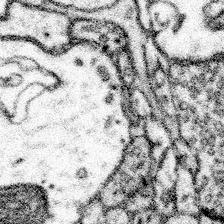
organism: Mouse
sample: Somatosensory cortex neuropil